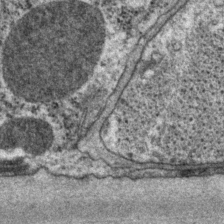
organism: P. pacificus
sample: Pharynx